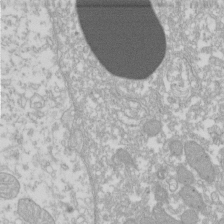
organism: Xenopus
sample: Cilia; centrioles in frog embryo cells